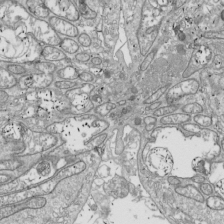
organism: Drosophila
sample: Cell division; meiosis; drosophila spermatocytes